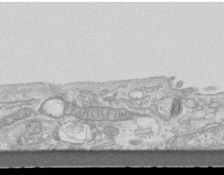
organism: Mouse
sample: Centriole in ependymal cells